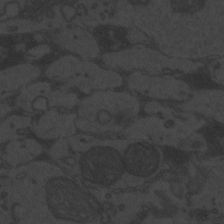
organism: Zebrafish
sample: Macrophage infected with Toxoplasma gondii